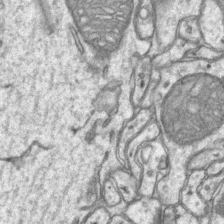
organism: Mouse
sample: CA1 Hippocampus